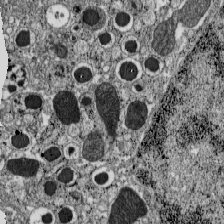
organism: C57BL Mouse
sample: Pancreatic islet